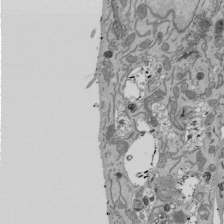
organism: Mouse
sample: ED-1 cell nuclei; centrioles